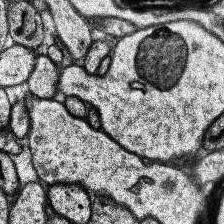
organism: Human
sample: Temporal Lobe